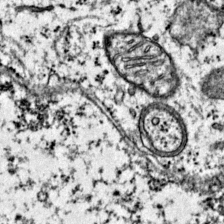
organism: Mouse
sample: Primary visual cortex